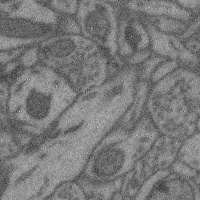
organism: Mouse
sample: Cerebral cortex